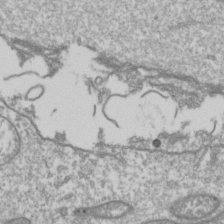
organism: Drosophila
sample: Cell division; meiosis; drosophila spermatocytes